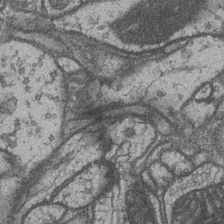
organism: Drosophila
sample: Optic medulla